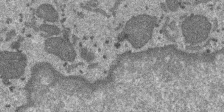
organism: Human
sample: Lung epithelial cells infected with SARS-CoV-2